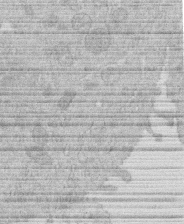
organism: Human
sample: Macrophage cells